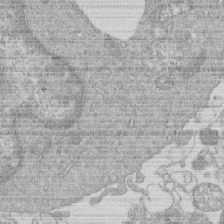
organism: Human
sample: Macrophage cells